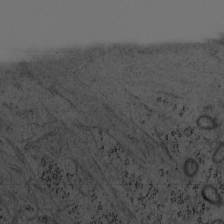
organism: Mouse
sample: OT-I killer T cells with ID8 ovarian cancer cells